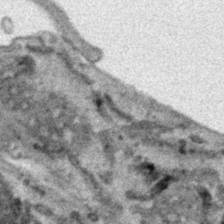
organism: Human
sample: Mitochondria in HCT116 cells